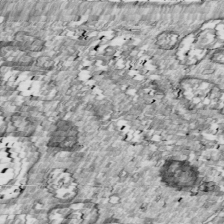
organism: Drosophila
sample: Cell division; meiosis; drosophila spermatocytes